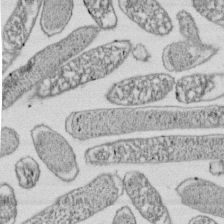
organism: E. coli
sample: Bacterial nucleoid